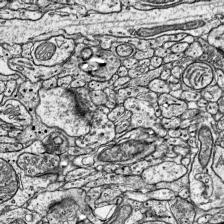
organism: Mouse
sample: Visual Cortex